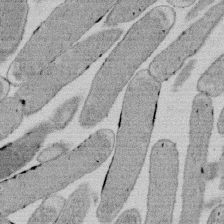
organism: E. coli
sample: Bacterial nucleoid